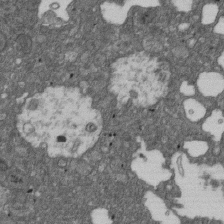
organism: Drosophila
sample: Nephrocyte